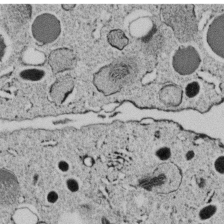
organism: C. elegans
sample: C. elegans embryo early stage